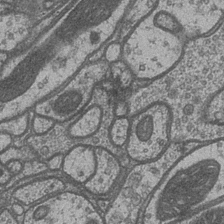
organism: Drosophila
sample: Optic medulla